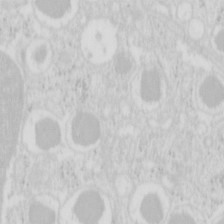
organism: Mouse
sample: Pancreas